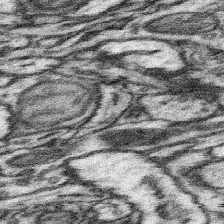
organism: Mouse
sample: Somatosensory cortex neuropil